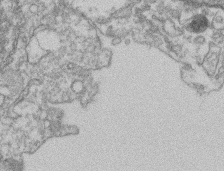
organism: Mouse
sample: T cell stromal cell synapse